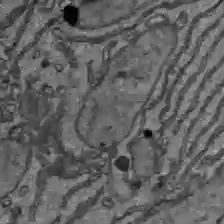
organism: C57BL Mouse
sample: Liver